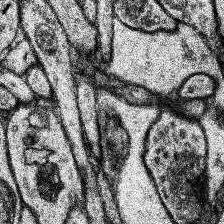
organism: Human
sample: Temporal Lobe